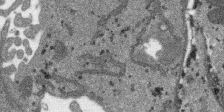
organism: Human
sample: Lung epithelial cells infected with SARS-CoV-2